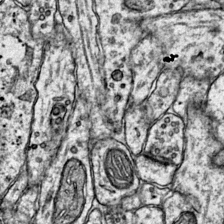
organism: Mouse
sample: Primary visual cortex